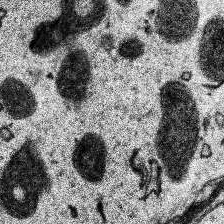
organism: Human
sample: Temporal Lobe